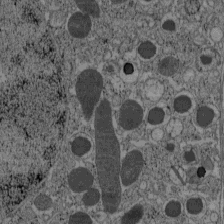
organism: C57BL Mouse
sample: Pancreatic islet